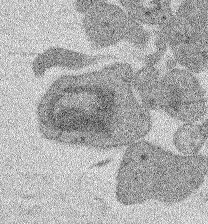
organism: Human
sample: HeLa cells